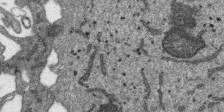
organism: Human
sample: Lung epithelial cells infected with SARS-CoV-2